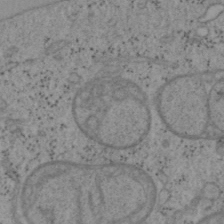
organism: Human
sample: HeLa cells